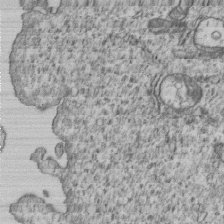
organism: Human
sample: MDA-MB-231 cells